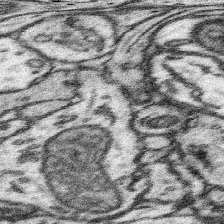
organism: Mouse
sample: Somatosensory cortex neuropil